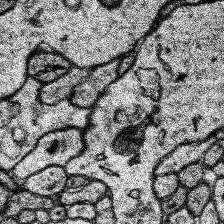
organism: Human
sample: Temporal Lobe